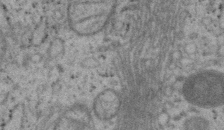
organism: Human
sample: HeLa cells